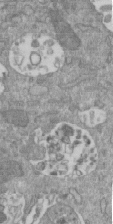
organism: Mouse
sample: ED-1 cell nuclei; centrioles